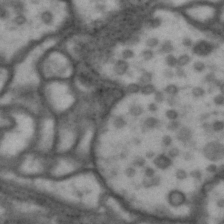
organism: Drosophila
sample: Brain